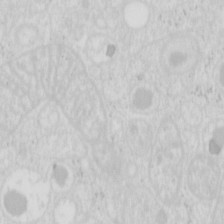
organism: Mouse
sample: Pancreas